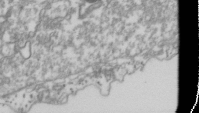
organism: Drosophila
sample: Cell division; meiosis; drosophila spermatocytes